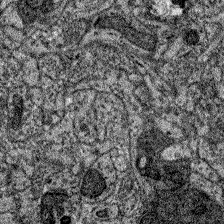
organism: Zebrafish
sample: Larval olfactory bulb